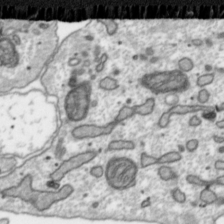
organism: Toxoplasma gondii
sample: Parasites in a vacuole inside a host cell